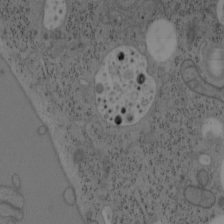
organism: Mouse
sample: OT-I killer T cells with ID8 ovarian cancer cells